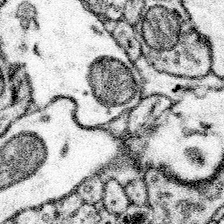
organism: Mouse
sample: Somatosensory cortex neuropil